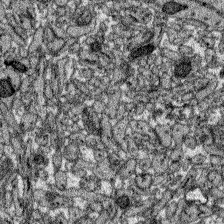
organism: Zebrafish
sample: Larval olfactory bulb